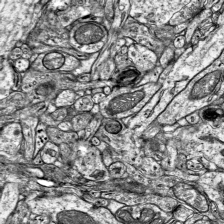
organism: Mouse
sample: Visual Cortex